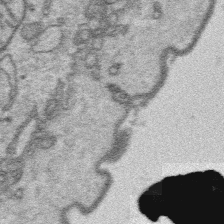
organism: Platynereis dumerilii